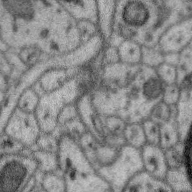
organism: Zebra finch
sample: Brain